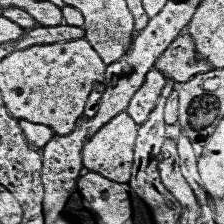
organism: Human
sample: Temporal Lobe